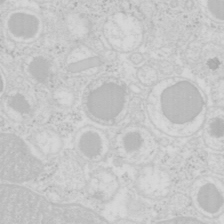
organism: Mouse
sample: Pancreas